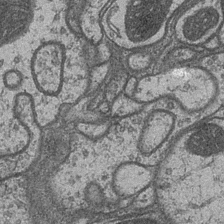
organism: Drosophila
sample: Optic medulla